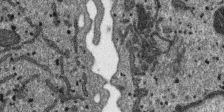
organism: Human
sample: Lung epithelial cells infected with SARS-CoV-2